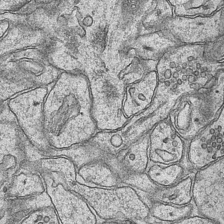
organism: Mouse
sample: CA1 Hippocampus